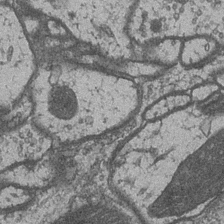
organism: Drosophila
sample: Optic medulla